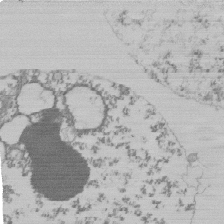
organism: Mouse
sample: Activated Pmel transgenic CD8+ T Cells